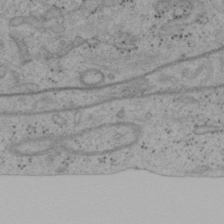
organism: Human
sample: HeLa cells